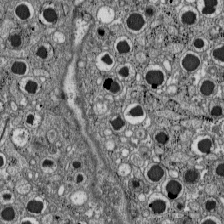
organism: C57BL Mouse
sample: Pancreatic islet